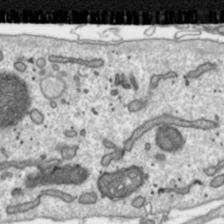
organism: Toxoplasma gondii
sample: Parasites in a vacuole inside a host cell